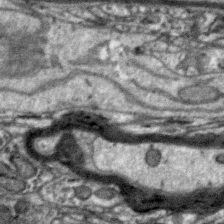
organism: Zebra finch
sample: Brain